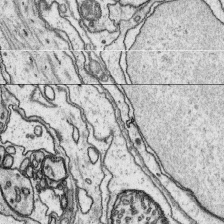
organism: Platynereis dumerilii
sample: Parapodia